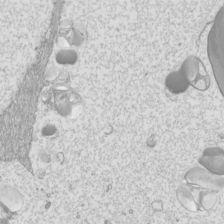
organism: Mouse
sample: Cilia; mouse epididymis